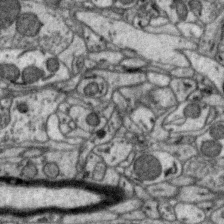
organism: Zebra finch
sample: Brain